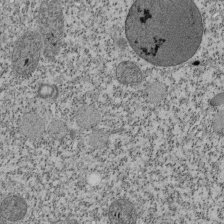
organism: Tetrahymena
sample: Cilia in tetrahymena